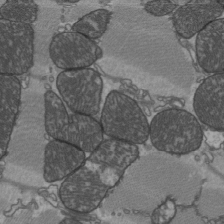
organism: C57BL Mouse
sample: Heart